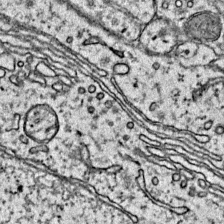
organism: Mouse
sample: Primary visual cortex